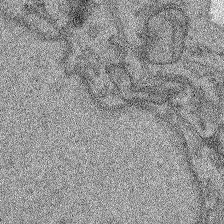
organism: Human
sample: HeLa cells